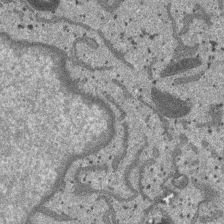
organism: Human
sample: Lung epithelial cells infected with SARS-CoV-2